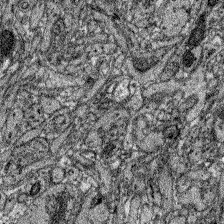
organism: Zebrafish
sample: Larval olfactory bulb